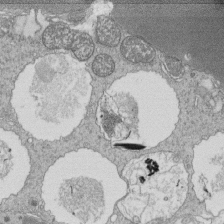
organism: Tetrahymena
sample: Cilia in tetrahymena